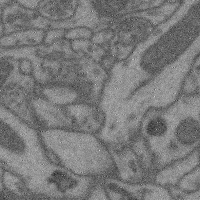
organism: Mouse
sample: Cerebral cortex